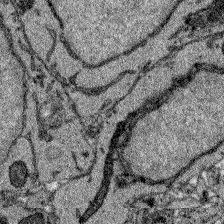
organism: Zebrafish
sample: Larval olfactory bulb